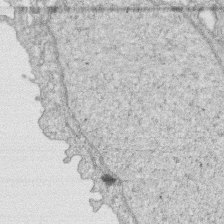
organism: Human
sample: HeLa cell HIV synapse